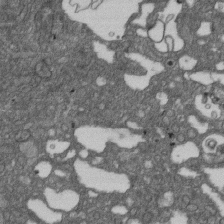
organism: Drosophila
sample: Nephrocyte